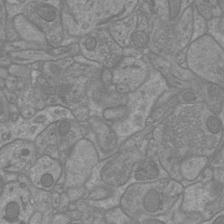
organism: Mouse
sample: Cortical neurons